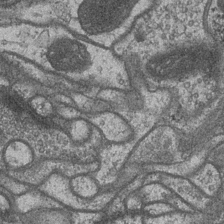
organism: Drosophila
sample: Optic medulla